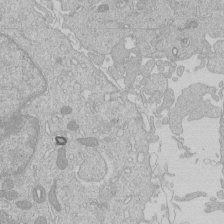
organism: Human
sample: Macrophage cells